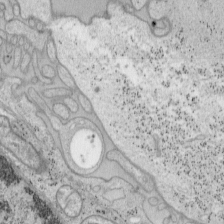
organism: Mouse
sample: OT-I killer T cells with ID8 ovarian cancer cells